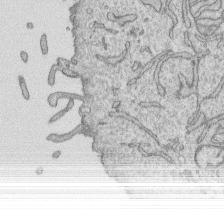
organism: Human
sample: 1205lu cells